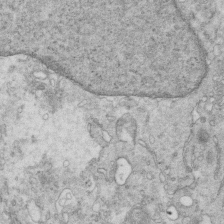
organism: Mouse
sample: Multiciliated cells